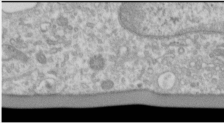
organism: Human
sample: Cilia; basal body in RPE cells